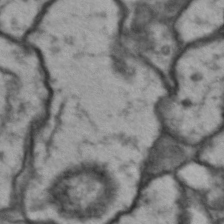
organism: Drosophila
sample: Brain